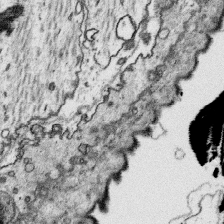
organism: Platynereis dumerilii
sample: Parapodia